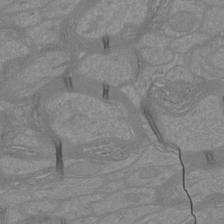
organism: Mouse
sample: Cortical neurons